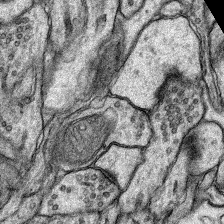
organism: Rat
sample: Hippocampus